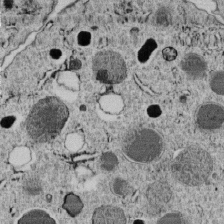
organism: C. elegans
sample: C. elegans embryo early stage